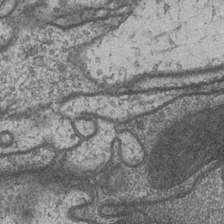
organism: Drosophila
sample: Optic medulla